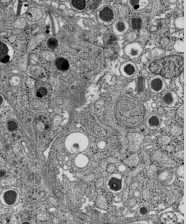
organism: C57BL Mouse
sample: Pancreatic islet